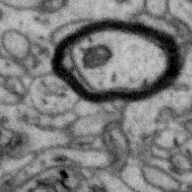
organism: Zebra finch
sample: Brain